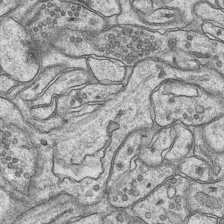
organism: Mouse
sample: CA1 Hippocampus